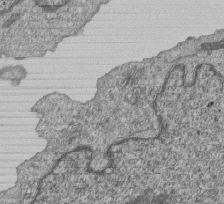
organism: Human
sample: MDA-MB-231 cells